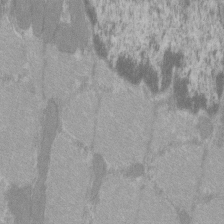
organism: C57BL Mouse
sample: Tibialis anterior muscle cell